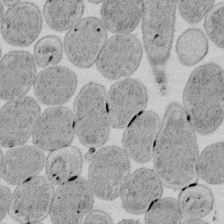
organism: E. coli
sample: Bacterial nucleoid